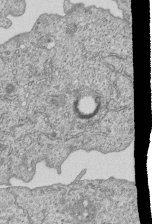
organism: Human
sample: MDA-MB-231 cells